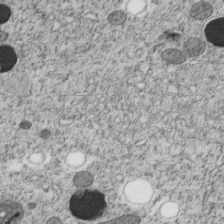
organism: C. elegans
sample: C. elegans embryo early stage